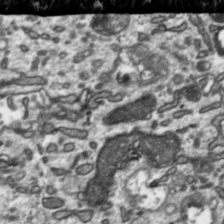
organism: Toxoplasma gondii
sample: Parasites in a vacuole inside a host cell